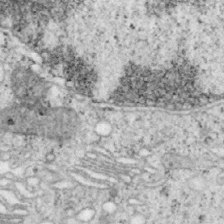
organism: Mouse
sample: OT-I killer T cells with ID8 ovarian cancer cells